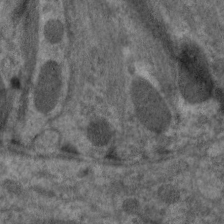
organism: C. elegans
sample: Pharynx